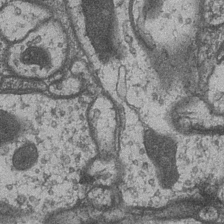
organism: Drosophila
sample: Optic medulla